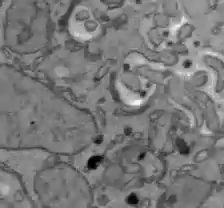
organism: C57BL Mouse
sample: Liver